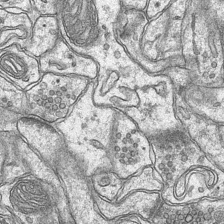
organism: Mouse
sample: CA1 Hippocampus